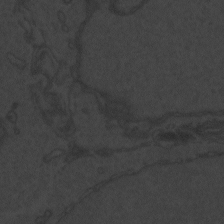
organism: Zebrafish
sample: Macrophage infected with Toxoplasma gondii